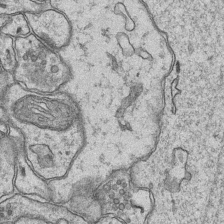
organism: Mouse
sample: CA1 Hippocampus